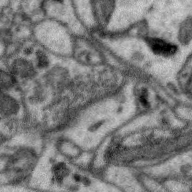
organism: Zebra finch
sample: Brain